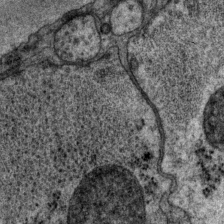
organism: P. pacificus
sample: Pharynx